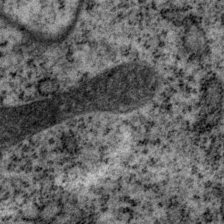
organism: P. pacificus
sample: Pharynx